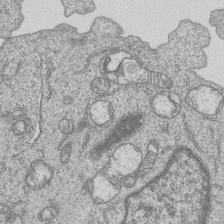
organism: Human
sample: MDA-MB-231 cells